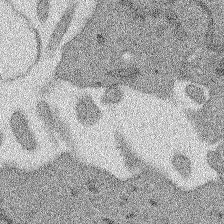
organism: Human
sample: HeLa cells